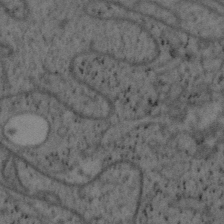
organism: Human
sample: HeLa cells